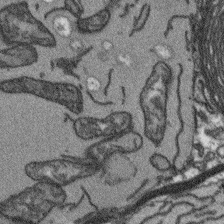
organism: Arabidopsis thaliana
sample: Root tip